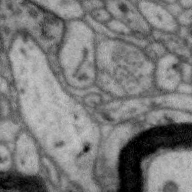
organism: Zebra finch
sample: Brain